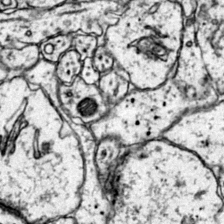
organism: Mouse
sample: Primary visual cortex